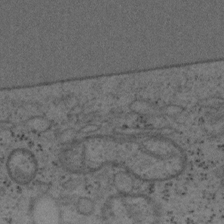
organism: Human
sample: HeLa cells